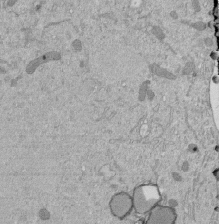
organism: Mouse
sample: ED-1 cell nuclei; centrioles